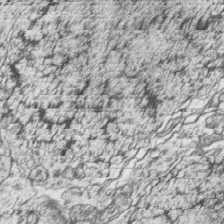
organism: Zebrafish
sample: synaptic ribbons in rod cells and cone cells